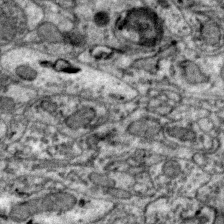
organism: Zebra finch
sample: Brain